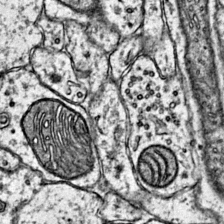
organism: Mouse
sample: Primary visual cortex